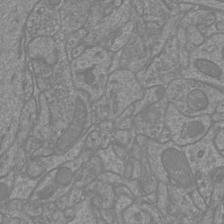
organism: Mouse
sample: Cortical neurons